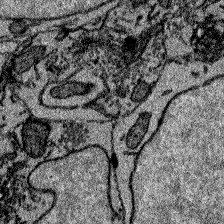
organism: Zebrafish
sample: Larval olfactory bulb